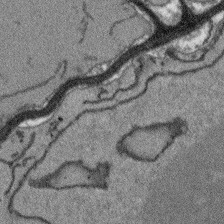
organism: Arabidopsis thaliana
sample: Root tip